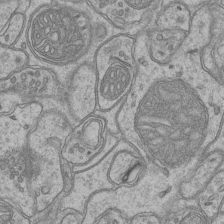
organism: Mouse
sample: CA1 Hippocampus